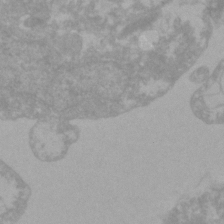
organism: Zebrafish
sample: Zebrafish embryo